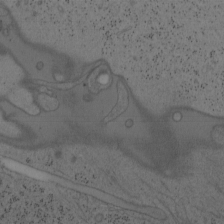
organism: Mouse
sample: OT-I killer T cells with ID8 ovarian cancer cells